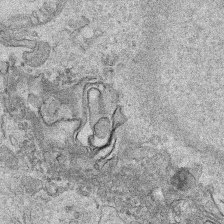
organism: Human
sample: Mitochondria in HCT116 cells